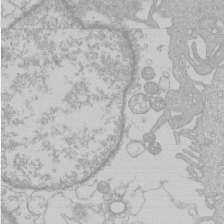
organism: Human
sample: Macrophage cells